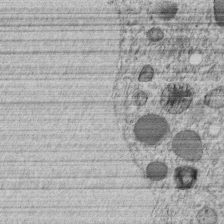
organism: C. elegans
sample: C. elegans embryo early stage